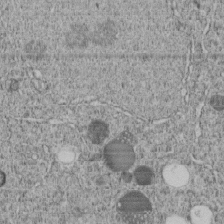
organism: C. elegans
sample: C. elegans embryo early stage